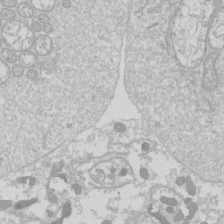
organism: Drosophila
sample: Cell division; meiosis; drosophila spermatocytes